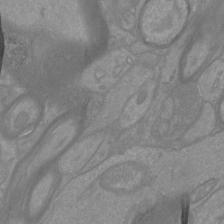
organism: Mouse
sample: Cortical neurons